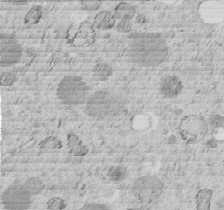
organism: C. elegans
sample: C. elegans embryo early stage